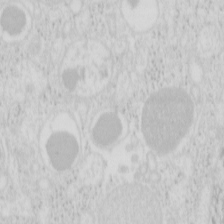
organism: Mouse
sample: Pancreas